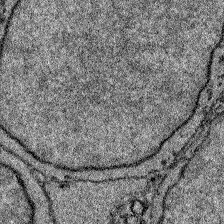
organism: Zebrafish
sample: Larval olfactory bulb